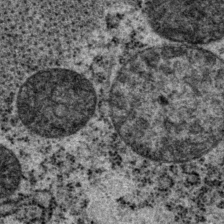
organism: P. pacificus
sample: Pharynx